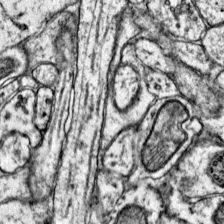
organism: Mouse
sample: Primary visual cortex